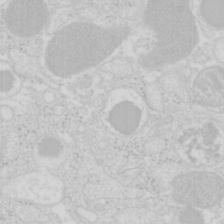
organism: Mouse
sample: Pancreas